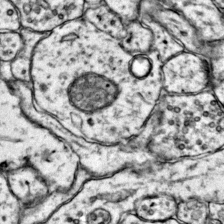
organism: Mouse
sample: Primary visual cortex